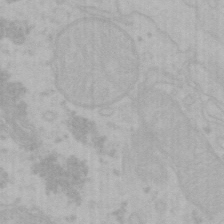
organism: Mouse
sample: Choroid plexus